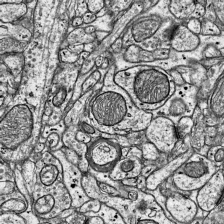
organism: Mouse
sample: Visual Cortex